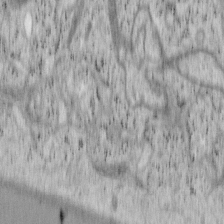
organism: Human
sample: HeLa cells